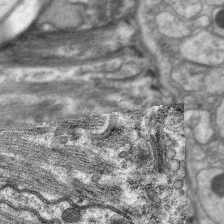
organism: C. elegans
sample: Pharynx